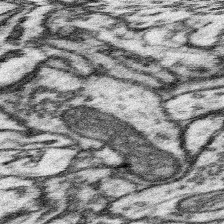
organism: Mouse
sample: Somatosensory cortex neuropil